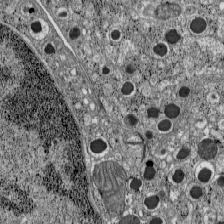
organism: C57BL Mouse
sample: Pancreatic islet